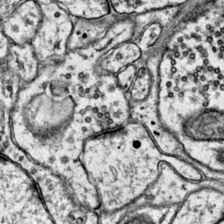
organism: Mouse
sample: Primary visual cortex